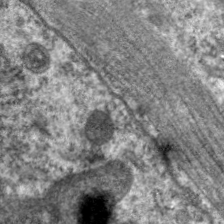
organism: C. elegans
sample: Pharynx